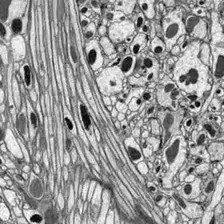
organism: Drosophila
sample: Optic lobe